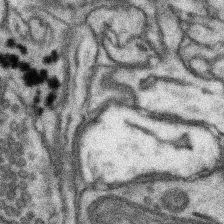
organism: Mouse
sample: Somatosensory cortex neuropil